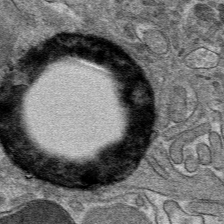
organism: Mouse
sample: Mouse hepatocytes